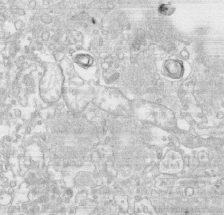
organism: Human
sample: CRL-1474